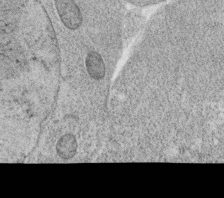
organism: C. elegans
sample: C. elegans oocyte; sperm cells